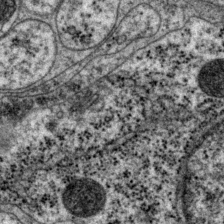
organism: P. pacificus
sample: Pharynx